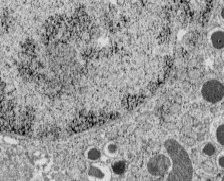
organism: C57BL Mouse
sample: Pancreatic islet